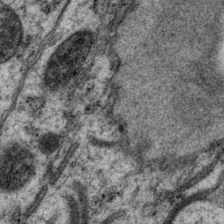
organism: P. pacificus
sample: Pharynx